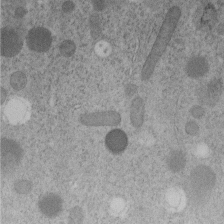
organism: C. elegans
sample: C. elegans embryo early stage